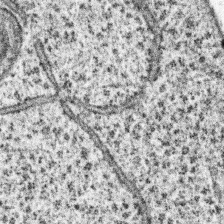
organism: Human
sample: HeLa cells